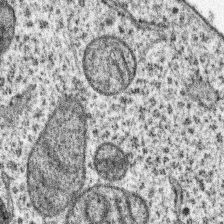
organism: Human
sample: HeLa cells